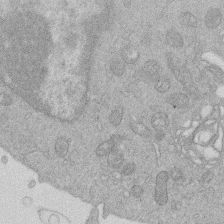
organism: Human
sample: Macrophage cells